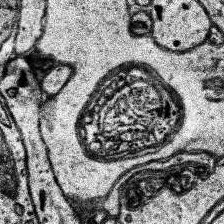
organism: Human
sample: Temporal Lobe